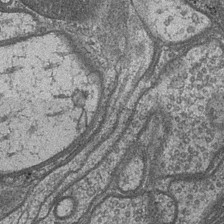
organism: Drosophila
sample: Optic medulla